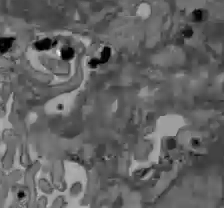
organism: C57BL Mouse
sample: Liver